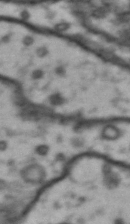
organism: Drosophila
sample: Brain